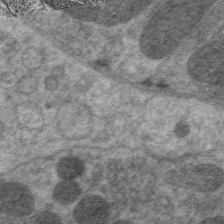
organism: C. elegans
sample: Pharynx